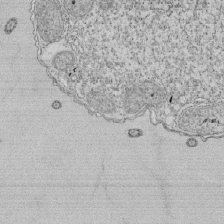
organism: Tetrahymena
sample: Cilia in tetrahymena